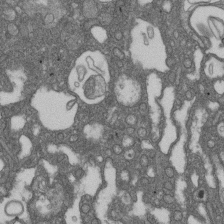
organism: Drosophila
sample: Nephrocyte